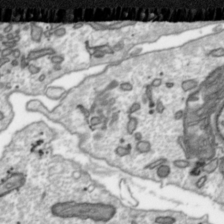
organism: Toxoplasma gondii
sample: Parasites in a vacuole inside a host cell